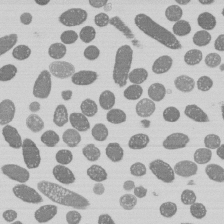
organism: E. coli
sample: Bacterial nucleoid